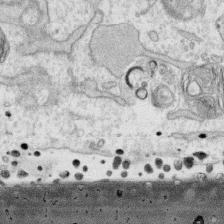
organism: Human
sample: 1205lu cells